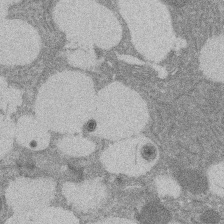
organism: Rat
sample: Salivary granule